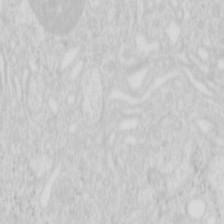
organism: Mouse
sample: Pancreas